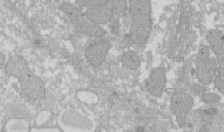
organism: Xenopus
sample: Cilia; centrioles in frog embryo cells